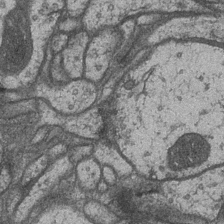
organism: Drosophila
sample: Optic medulla